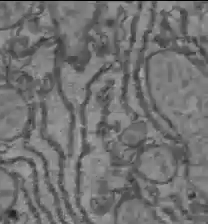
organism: C57BL Mouse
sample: Liver